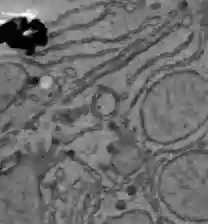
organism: C57BL Mouse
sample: Liver